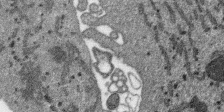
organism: Human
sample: Lung epithelial cells infected with SARS-CoV-2